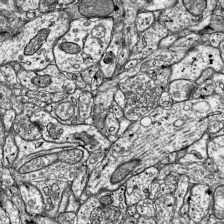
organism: Mouse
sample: Visual Cortex